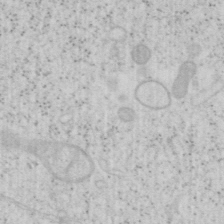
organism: Human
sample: HeLa cells